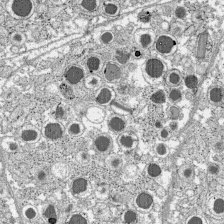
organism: C57BL Mouse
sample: Pancreatic islet